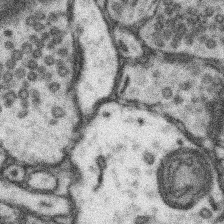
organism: Mouse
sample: Somatosensory cortex neuropil